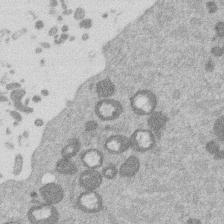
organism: Mouse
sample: Dividing mouse embryo 1 cell stage